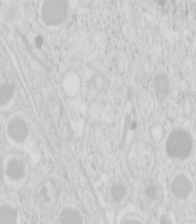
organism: Mouse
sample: Pancreas